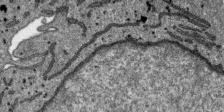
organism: Human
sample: Lung epithelial cells, uninfected (mock) control